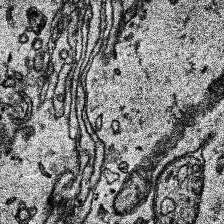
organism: Human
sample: Temporal Lobe